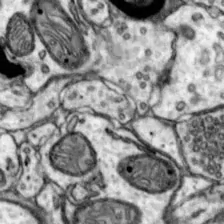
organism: Mouse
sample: Nucleus accumbens